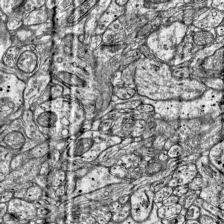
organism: Mouse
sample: Visual Cortex